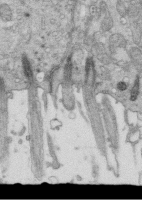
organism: Mouse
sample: Multiciliated cells